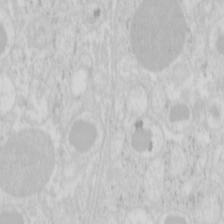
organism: Mouse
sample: Pancreas